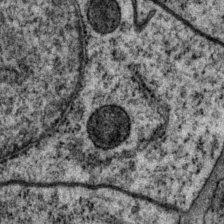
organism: P. pacificus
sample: Pharynx